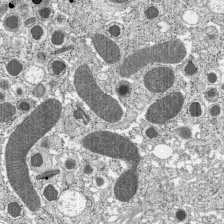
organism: C57BL Mouse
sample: Pancreatic islet